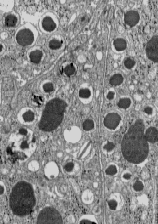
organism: C57BL Mouse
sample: Pancreatic islet